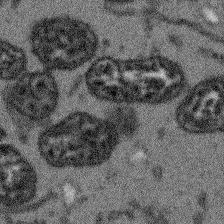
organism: Arabidopsis thaliana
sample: Root tip